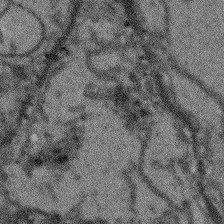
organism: Arabidopsis thaliana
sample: Root tip